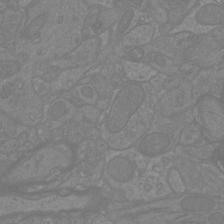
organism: Mouse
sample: Cortical neurons